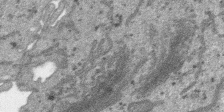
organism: Human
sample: Lung epithelial cells infected with SARS-CoV-2